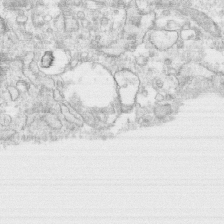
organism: Human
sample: CRL-1474